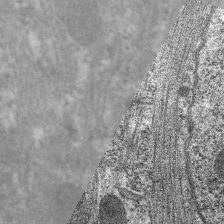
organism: C. elegans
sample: Pharynx